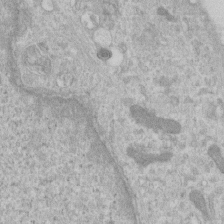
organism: Human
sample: Centriole in RPE cells